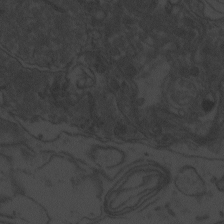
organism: Zebrafish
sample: Macrophage infected with Toxoplasma gondii